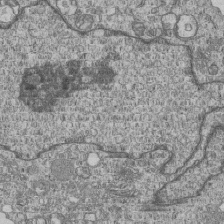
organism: Human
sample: MDA-MB-231 cells